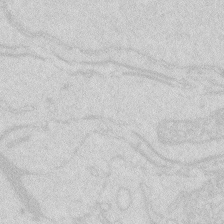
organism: Zebrafish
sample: Macrophage